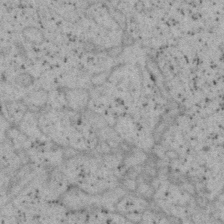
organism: Human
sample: HeLa cells